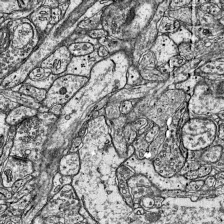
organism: Mouse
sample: Visual Cortex